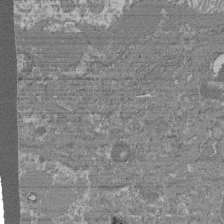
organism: Mouse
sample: Glomerulus